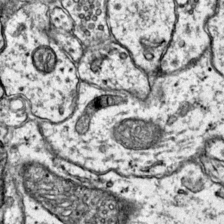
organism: Mouse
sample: Primary visual cortex